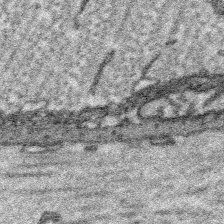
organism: Platynereis dumerilii